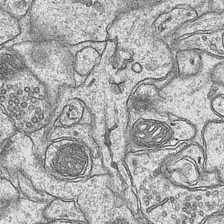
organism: Mouse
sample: CA1 Hippocampus